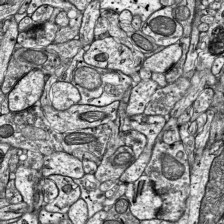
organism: Mouse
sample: Visual Cortex